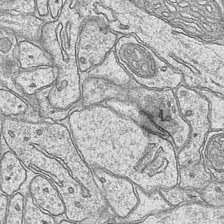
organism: Mouse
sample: CA1 Hippocampus